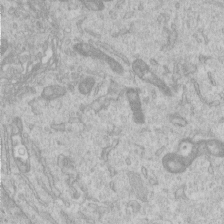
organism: Human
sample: Centriole in RPE cells